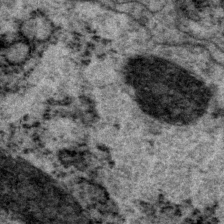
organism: P. pacificus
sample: Pharynx